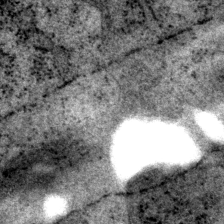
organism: P. pacificus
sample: Pharynx